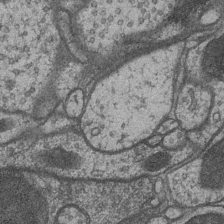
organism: Drosophila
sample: Optic medulla